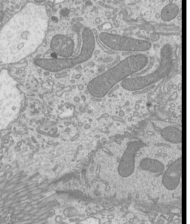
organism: Mouse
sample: Cilia; mouse epididymis